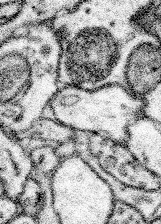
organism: Mouse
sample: Somatosensory cortex neuropil